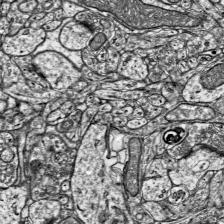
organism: Mouse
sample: Visual Cortex